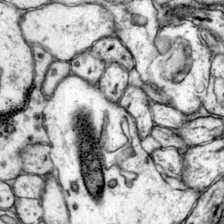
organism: Mouse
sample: Primary visual cortex